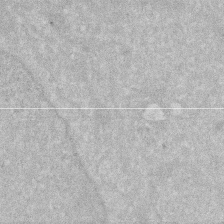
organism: Human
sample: HIV infected U937 cells